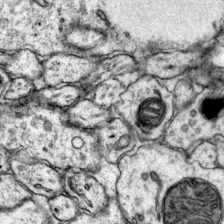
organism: Mouse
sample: Primary visual cortex